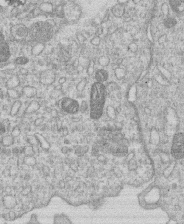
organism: Human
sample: Macrophage cells